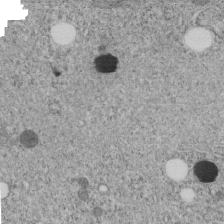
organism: C. elegans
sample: C. elegans embryo early stage